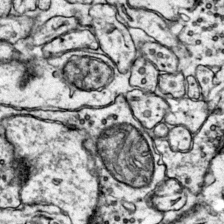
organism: Mouse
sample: Primary visual cortex